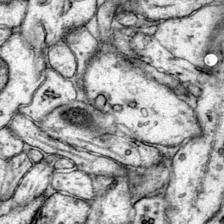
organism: Mouse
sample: Primary visual cortex